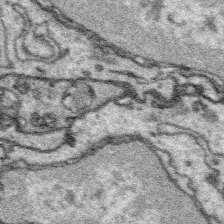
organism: Platynereis dumerilii